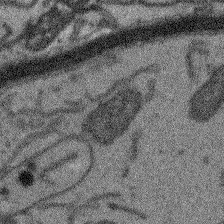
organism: Arabidopsis thaliana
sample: Root tip